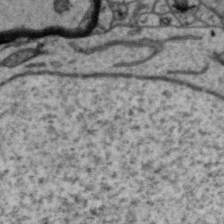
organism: Zebra finch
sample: Brain